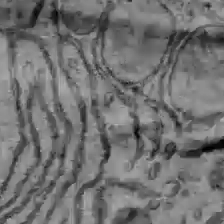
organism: C57BL Mouse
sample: Liver